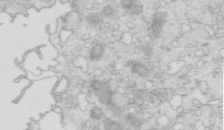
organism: Mouse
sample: Multiciliated cells